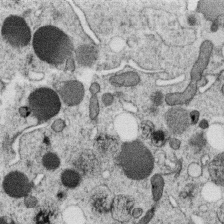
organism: C. elegans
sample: C. elegans oocyte; sperm cells